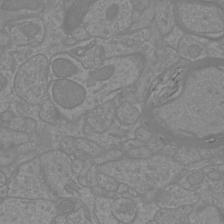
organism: Mouse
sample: Cortical neurons